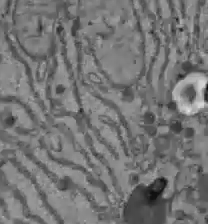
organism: C57BL Mouse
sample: Liver